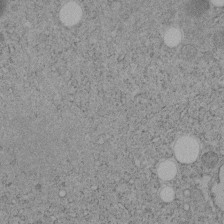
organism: C. elegans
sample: C. elegans embryo early stage